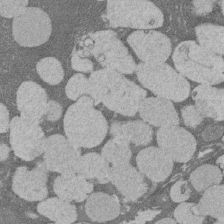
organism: Rat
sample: Salivary granule